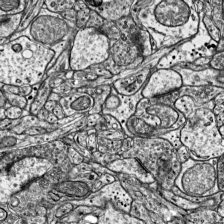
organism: Mouse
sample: Visual Cortex